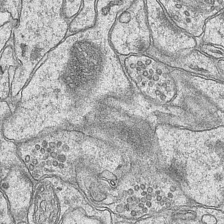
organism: Mouse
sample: CA1 Hippocampus